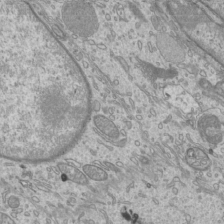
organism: Mouse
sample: Cilia; mouse epididymis